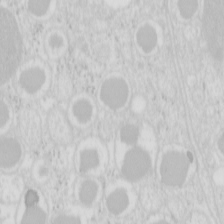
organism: Mouse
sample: Pancreas